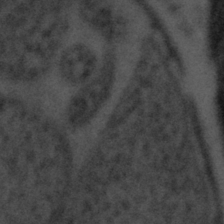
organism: Tuwongella immobilis